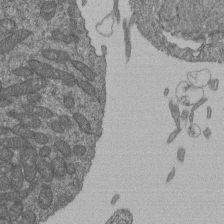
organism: Human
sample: Retinal organoid Rod and Cone cells